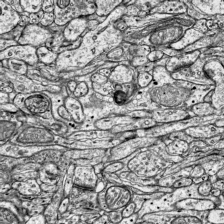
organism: Mouse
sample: Visual Cortex